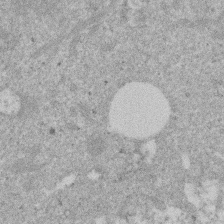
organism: Mouse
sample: Dividing mouse embryo 1 cell stage